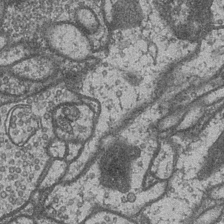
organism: Drosophila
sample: Optic medulla